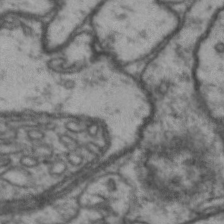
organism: Drosophila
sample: Brain